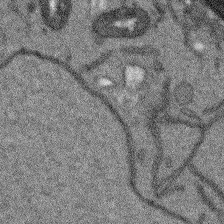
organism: Arabidopsis thaliana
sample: Root tip